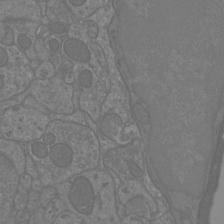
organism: Mouse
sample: Cortical neurons